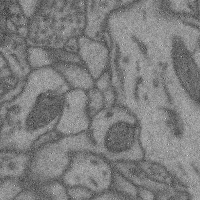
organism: Mouse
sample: Cerebral cortex